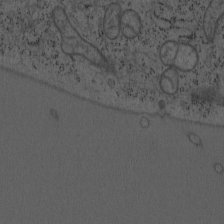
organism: Mouse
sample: OT-I killer T cells with ID8 ovarian cancer cells